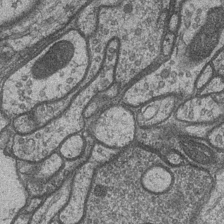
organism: Drosophila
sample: Optic medulla